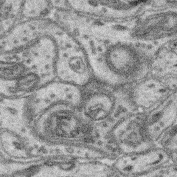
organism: Mouse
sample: Retina